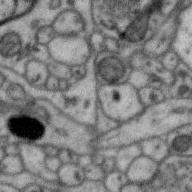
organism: Zebra finch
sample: Brain